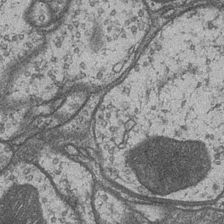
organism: Drosophila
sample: Optic medulla